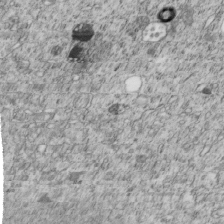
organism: C. elegans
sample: C. elegans embryo early stage